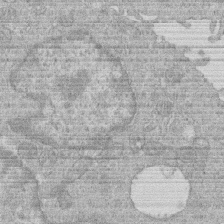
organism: Human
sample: Macrophage cells